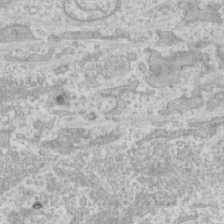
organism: Human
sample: CRL-1474